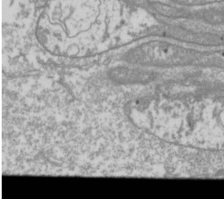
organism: Drosophila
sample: Cell division; meiosis; drosophila spermatocytes